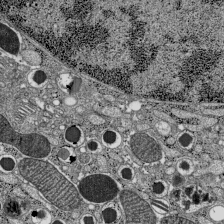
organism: C57BL Mouse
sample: Pancreatic islet